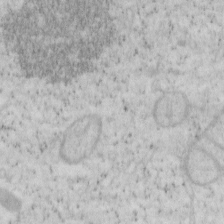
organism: Human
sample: HeLa cells